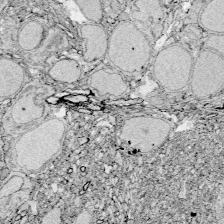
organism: Zebrafish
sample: Whole-Brain